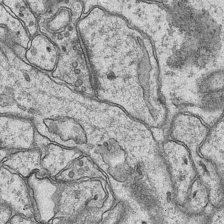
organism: Mouse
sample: CA1 Hippocampus